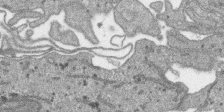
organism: Human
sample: Lung epithelial cells infected with SARS-CoV-2